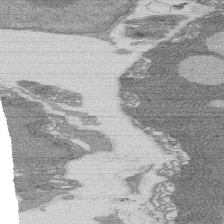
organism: Rat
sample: Salivary granule